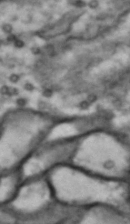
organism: Drosophila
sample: Brain